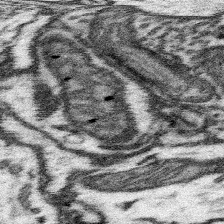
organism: Mouse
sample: Somatosensory cortex neuropil